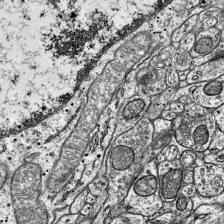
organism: Mouse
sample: Visual Cortex